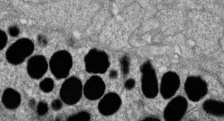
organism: Zebrafish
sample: Cilia; retinal pigment epithelium